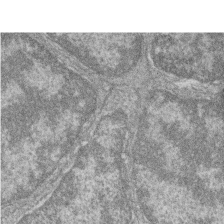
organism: Zebrafish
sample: Cilia; retinal pigment epithelium